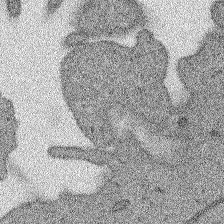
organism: Human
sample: HeLa cells